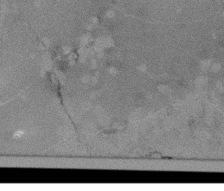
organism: Tetrahymena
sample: Cilia in tetrahymena